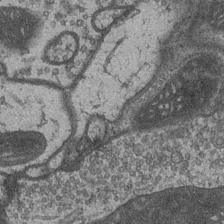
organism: Drosophila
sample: Optic medulla